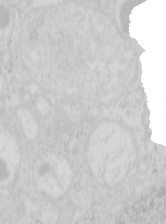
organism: Mouse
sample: Pancreas